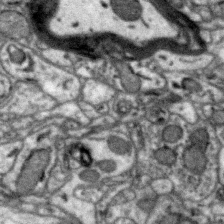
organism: Zebra finch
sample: Brain